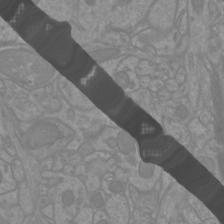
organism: Mouse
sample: Cortical neurons